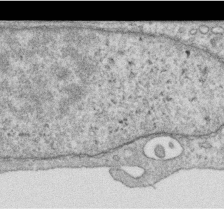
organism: Human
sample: Centriole in RPE cells